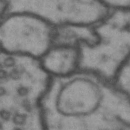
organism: Drosophila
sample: Brain